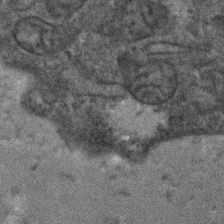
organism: Human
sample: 1205lu cells